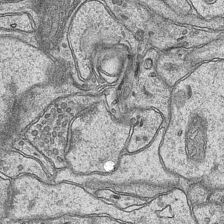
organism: Mouse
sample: CA1 Hippocampus